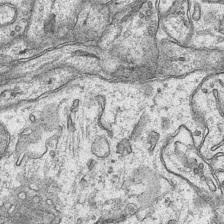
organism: Mouse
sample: CA1 Hippocampus